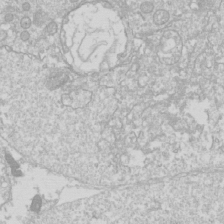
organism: Drosophila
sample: Cell division; meiosis; drosophila spermatocytes